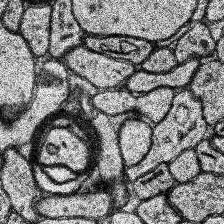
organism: Human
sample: Temporal Lobe